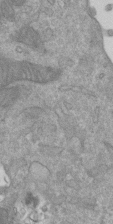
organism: Mouse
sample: ED-1 cell nuclei; centrioles